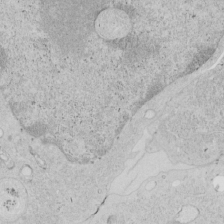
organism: Human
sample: Mitochondria in HCT116 cells